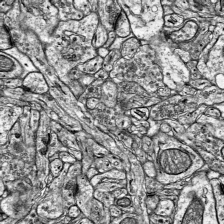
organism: Mouse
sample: Visual Cortex